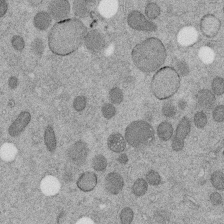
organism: C. elegans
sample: C. elegans embryo early stage